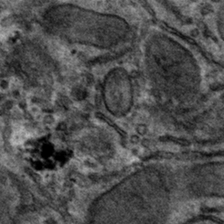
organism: Mouse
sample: Mouse hepatocytes